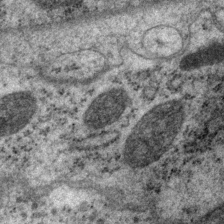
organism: P. pacificus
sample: Pharynx